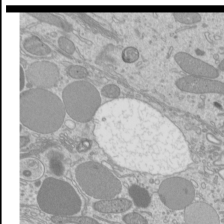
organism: Mouse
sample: Cilia; mouse epididymis